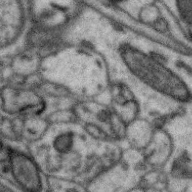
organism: Zebra finch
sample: Brain